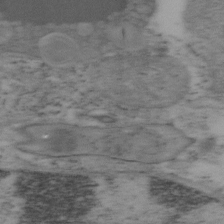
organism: Mouse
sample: OT-I killer T cells with ID8 ovarian cancer cells